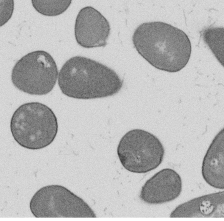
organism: B. subtilis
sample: Bacterial spore